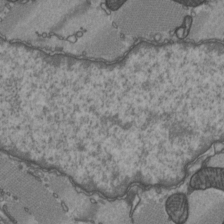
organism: C57BL Mouse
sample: Heart